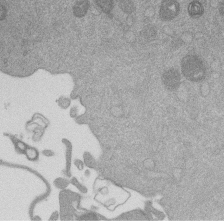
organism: Mouse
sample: Dividing mouse embryo 1 cell stage